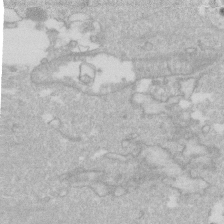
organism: Human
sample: Fibroblast cells